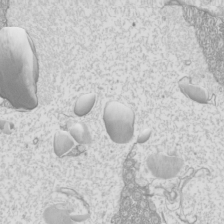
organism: Mouse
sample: Cilia; mouse epididymis